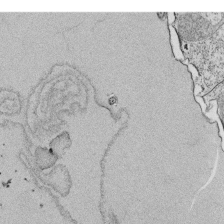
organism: Tetrahymena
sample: Cilia in tetrahymena